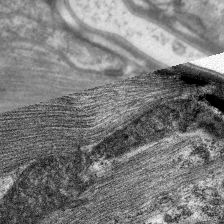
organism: C. elegans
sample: Pharynx